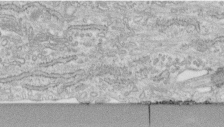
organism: Human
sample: Centriole in fibroblast cells